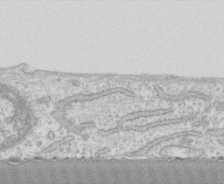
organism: Human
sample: CRL-1474